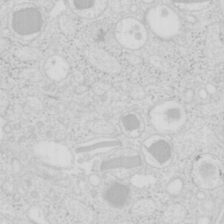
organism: Mouse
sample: Pancreas